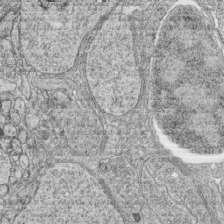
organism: Zebrafish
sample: synaptic ribbons in rod cells and cone cells